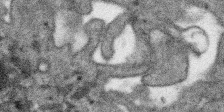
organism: Human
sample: Lung epithelial cells infected with SARS-CoV-2